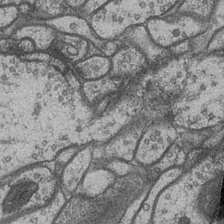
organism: Drosophila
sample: Optic medulla